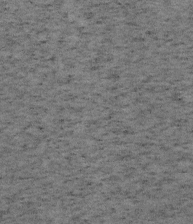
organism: Mouse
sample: OT-I killer T cells with ID8 ovarian cancer cells